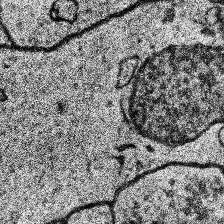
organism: Human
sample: Temporal Lobe